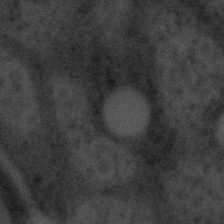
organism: Tuwongella immobilis